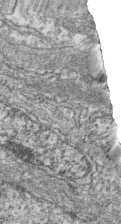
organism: Zebrafish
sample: Cilia; retinal pigment epithelium